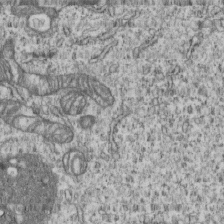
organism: Human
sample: MDA-MB-231 cells